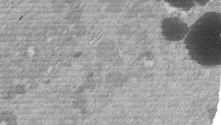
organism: Mouse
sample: Dividing mouse embryo 1 cell stage